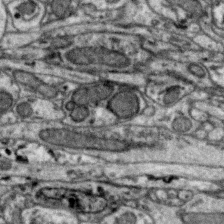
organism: Zebra finch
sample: Brain